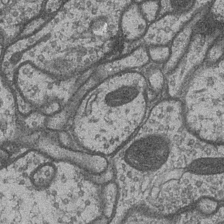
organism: Drosophila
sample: Optic medulla